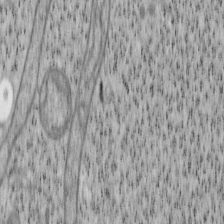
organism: Human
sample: HeLa cells